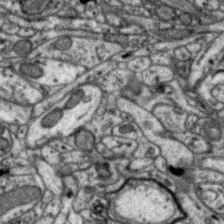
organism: Zebra finch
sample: Brain